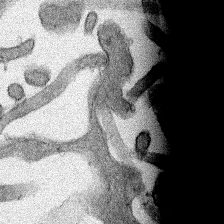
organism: Human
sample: Mitochondria in HCT116 cells